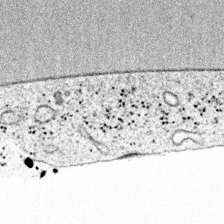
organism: Human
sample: HeLa cells